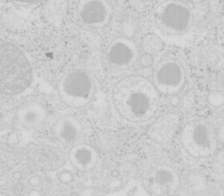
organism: Mouse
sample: Pancreas